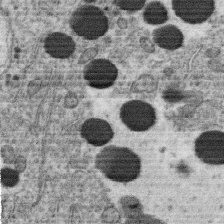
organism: C. elegans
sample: C. elegans oocyte; sperm cells